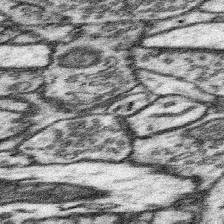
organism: Mouse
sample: Somatosensory cortex neuropil